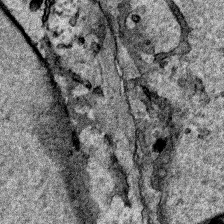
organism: Human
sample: Mitochondria in HCT116 cells